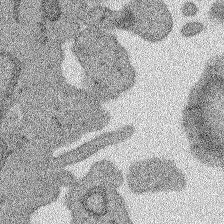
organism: Human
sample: HeLa cells